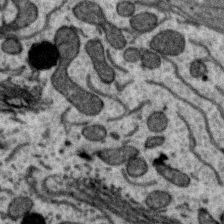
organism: Zebra finch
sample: Brain